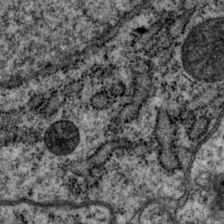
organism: P. pacificus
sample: Pharynx